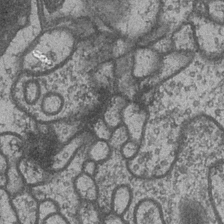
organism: Drosophila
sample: Optic medulla